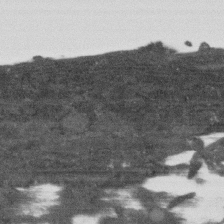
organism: Human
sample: Fibroblast cells